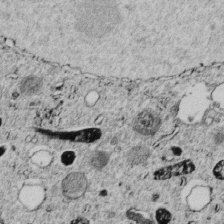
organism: C. elegans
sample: C. elegans embryo early stage